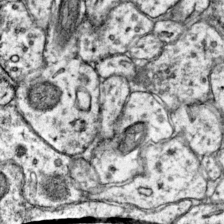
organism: Mouse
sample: Primary visual cortex